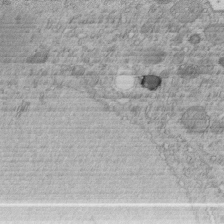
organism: C. elegans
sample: C. elegans embryo early stage